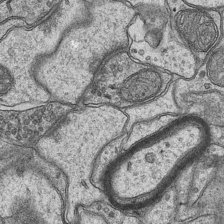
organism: Mouse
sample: CA1 Hippocampus